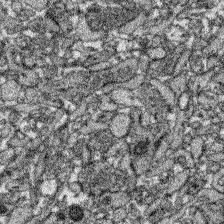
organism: Zebrafish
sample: Larval olfactory bulb